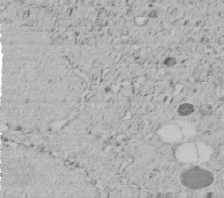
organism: C. elegans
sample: C. elegans embryo early stage